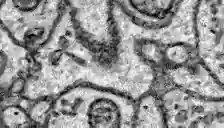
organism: Zebrafish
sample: Brain